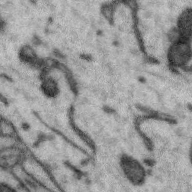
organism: Zebra finch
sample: Brain